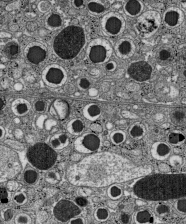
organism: C57BL Mouse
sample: Pancreatic islet